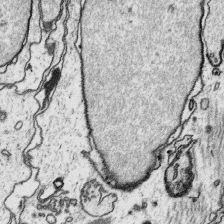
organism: Platynereis dumerilii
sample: Parapodia